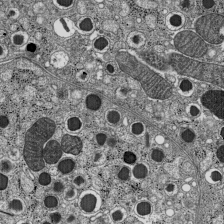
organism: C57BL Mouse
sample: Pancreatic islet